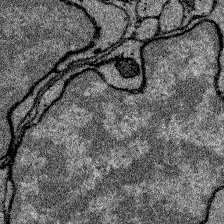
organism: Zebrafish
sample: Larval olfactory bulb